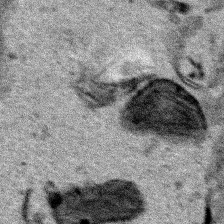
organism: Human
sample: Mitochondria in HCT116 cells